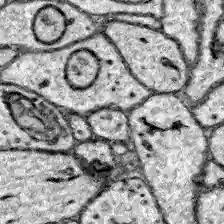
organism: Zebrafish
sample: Brain